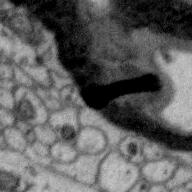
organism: Zebra finch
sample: Brain